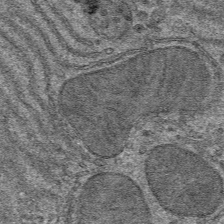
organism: Mouse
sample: Mouse hepatocytes